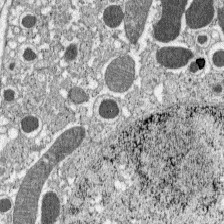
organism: C57BL Mouse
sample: Pancreatic islet